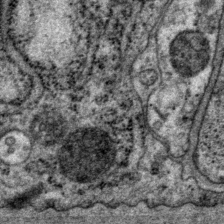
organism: P. pacificus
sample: Pharynx